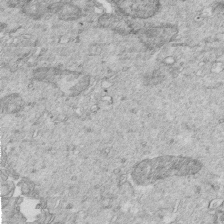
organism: Mouse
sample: Multiciliated cells